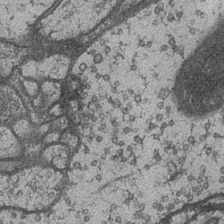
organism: Drosophila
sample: Optic medulla